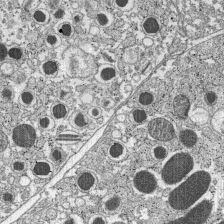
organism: C57BL Mouse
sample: Pancreatic islet